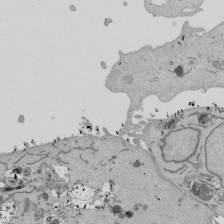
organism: Mouse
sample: ED-1 cell nuclei; centrioles